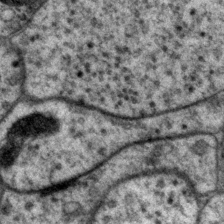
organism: P. pacificus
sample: Pharynx